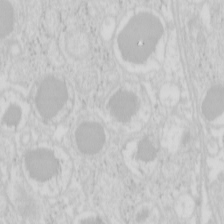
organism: Mouse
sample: Pancreas